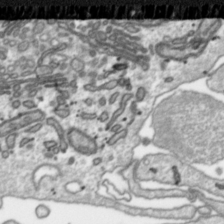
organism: Toxoplasma gondii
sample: Parasites in a vacuole inside a host cell